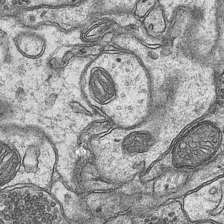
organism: Mouse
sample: CA1 Hippocampus